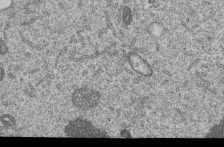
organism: Human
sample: MDA-MB-231 cells